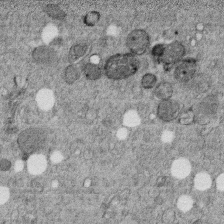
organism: C. elegans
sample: C. elegans embryo early stage